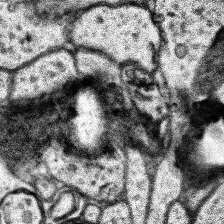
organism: Human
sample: Temporal Lobe